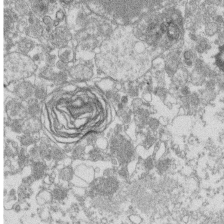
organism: Human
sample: HeLa cell HIV synapse